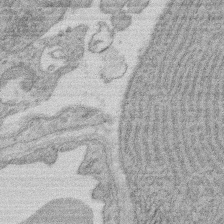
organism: Rat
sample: Salivary granule